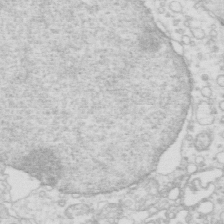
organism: Mouse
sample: Multiciliated cells